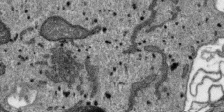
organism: Human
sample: Lung epithelial cells, uninfected (mock) control